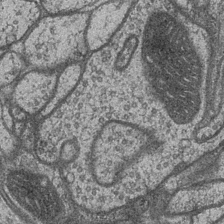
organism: Drosophila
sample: Optic medulla